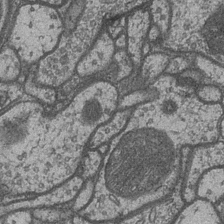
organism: Drosophila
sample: Optic medulla